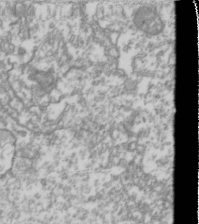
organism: Drosophila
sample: Cell division; meiosis; drosophila spermatocytes